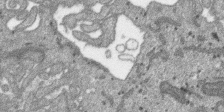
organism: Human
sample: Lung epithelial cells infected with SARS-CoV-2